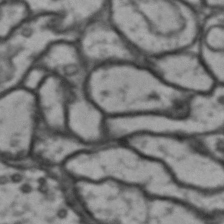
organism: Drosophila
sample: Brain